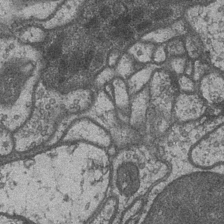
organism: Drosophila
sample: Optic medulla